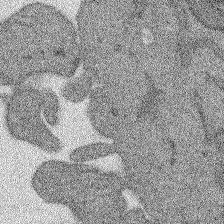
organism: Human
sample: HeLa cells